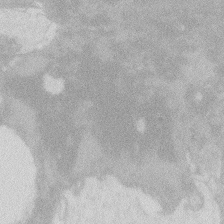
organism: Zebrafish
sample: Macrophage